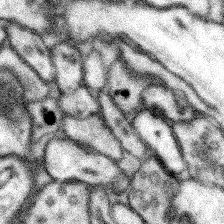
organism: Mouse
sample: Somatosensory cortex neuropil